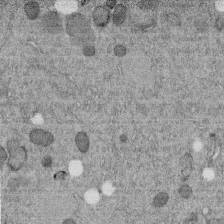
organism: C. elegans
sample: C. elegans embryo early stage